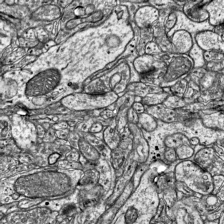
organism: Mouse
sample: Visual Cortex